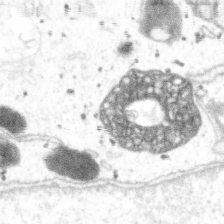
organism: Human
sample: HeLa cells